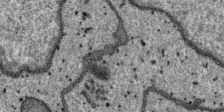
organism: Human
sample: Lung epithelial cells, uninfected (mock) control